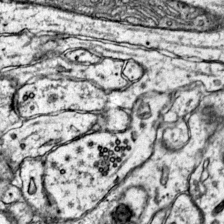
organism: Mouse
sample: Primary visual cortex